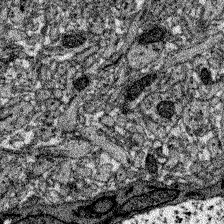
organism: Zebrafish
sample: Larval olfactory bulb